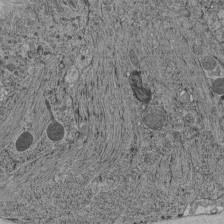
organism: C. elegans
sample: C. elegans pharynx